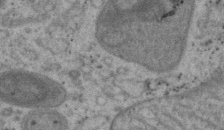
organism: Human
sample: HeLa cells